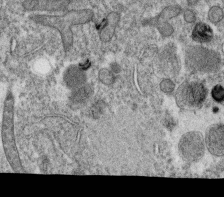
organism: C. elegans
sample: C. elegans oocyte; sperm cells